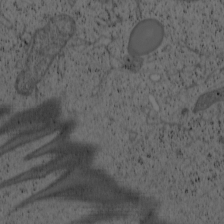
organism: African green monkey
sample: COS-7 cells